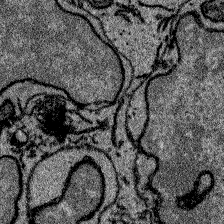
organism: Zebrafish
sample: Larval olfactory bulb